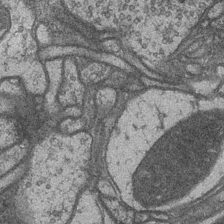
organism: Drosophila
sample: Optic medulla